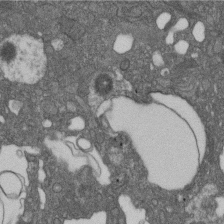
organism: Drosophila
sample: Nephrocyte